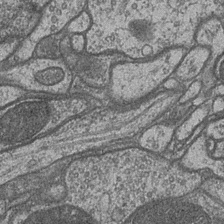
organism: Drosophila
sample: Optic medulla